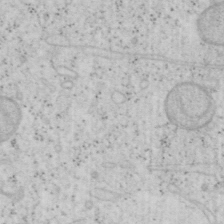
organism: Human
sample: HeLa cells